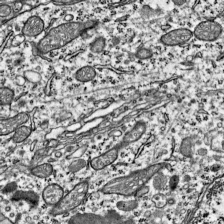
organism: Mouse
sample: Visual Cortex